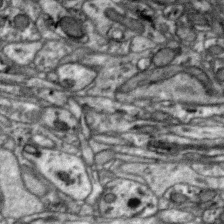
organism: Zebra finch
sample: Brain